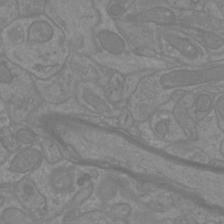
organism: Mouse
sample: Cortical neurons